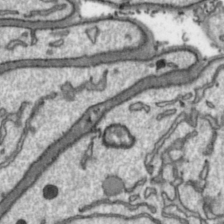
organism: Toxoplasma gondii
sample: Parasites in a vacuole inside a host cell